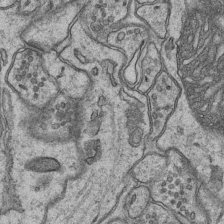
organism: Mouse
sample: CA1 Hippocampus